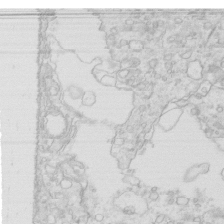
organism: Mouse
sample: Multiciliated cells